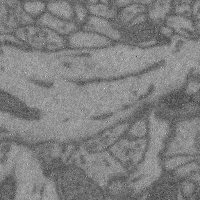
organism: Mouse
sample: Cerebral cortex